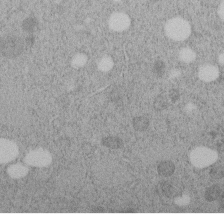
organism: C. elegans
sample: C. elegans embryo early stage